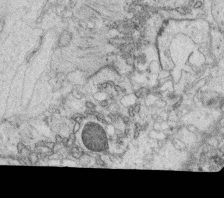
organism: C. elegans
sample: C. elegans oocyte; sperm cells